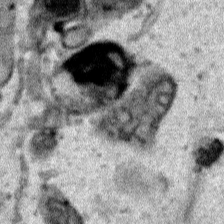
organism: Human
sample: Mitochondria in HCT116 cells